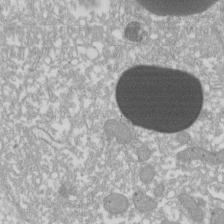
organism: Xenopus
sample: Cilia; centrioles in frog embryo cells